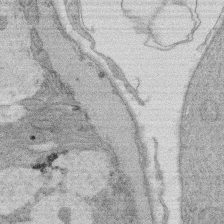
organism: Rat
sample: Salivary granule